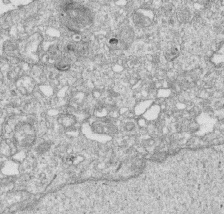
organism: Human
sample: HeLa cell HIV synapse